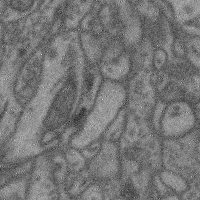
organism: Mouse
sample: Cerebral cortex